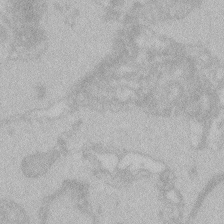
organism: Zebrafish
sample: Macrophage infected with Toxoplasma gondii